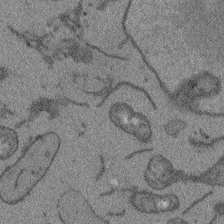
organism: Arabidopsis thaliana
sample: Root tip